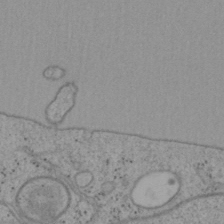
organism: Human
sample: HeLa cells